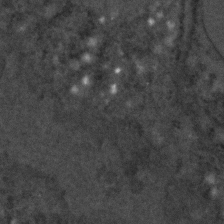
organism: C. elegans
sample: C. elegans embryo